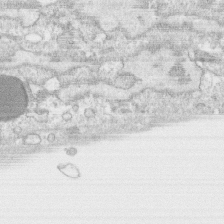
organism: Human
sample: CRL-1474